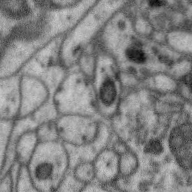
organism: Zebra finch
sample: Brain